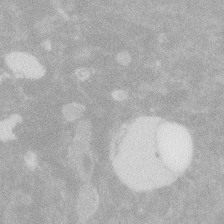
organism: Zebrafish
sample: Macrophage